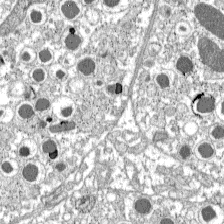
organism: C57BL Mouse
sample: Pancreatic islet